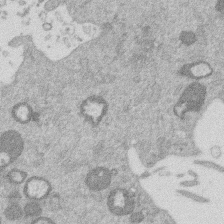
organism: Mouse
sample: Dividing mouse embryo 1 cell stage